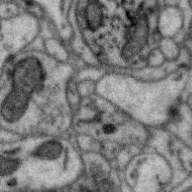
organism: Zebra finch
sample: Brain